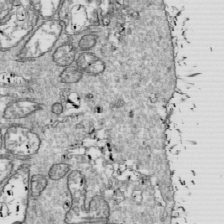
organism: Drosophila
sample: Cell division; meiosis; drosophila spermatocytes